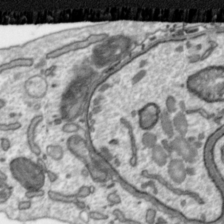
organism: Toxoplasma gondii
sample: Parasites in a vacuole inside a host cell